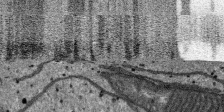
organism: Human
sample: Lung epithelial cells, uninfected (mock) control